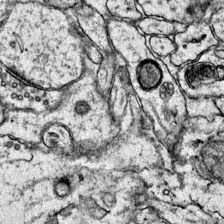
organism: Mouse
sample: Primary visual cortex